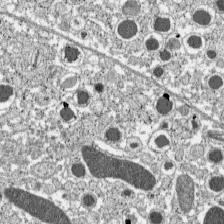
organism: C57BL Mouse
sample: Pancreatic islet